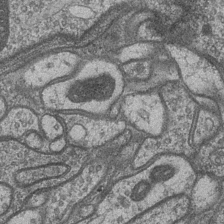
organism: Drosophila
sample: Optic medulla